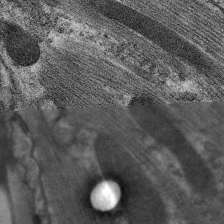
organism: C. elegans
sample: Pharynx